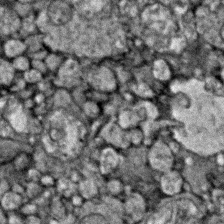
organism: Zebrafish